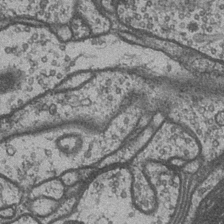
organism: Drosophila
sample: Optic medulla